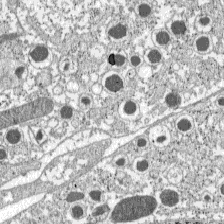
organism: C57BL Mouse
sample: Pancreatic islet